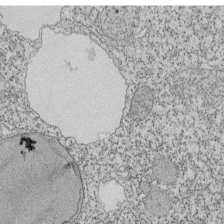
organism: Tetrahymena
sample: Cilia in tetrahymena